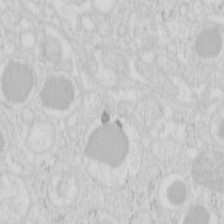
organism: Mouse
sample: Pancreas